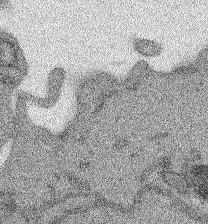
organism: Human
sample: HeLa cells